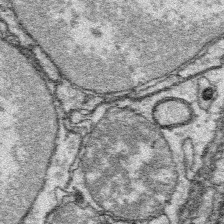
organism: Platynereis dumerilii